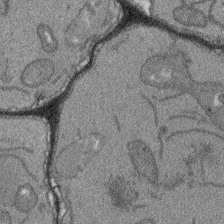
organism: Arabidopsis thaliana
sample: Root tip